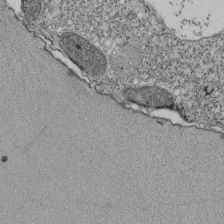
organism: Tetrahymena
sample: Cilia in tetrahymena